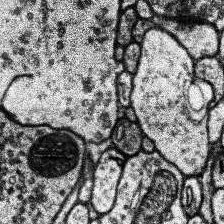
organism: Human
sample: Temporal Lobe